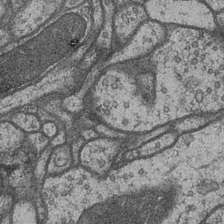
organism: Drosophila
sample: Optic medulla